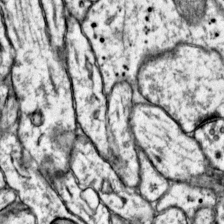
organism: Mouse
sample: Primary visual cortex